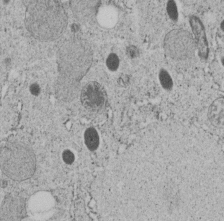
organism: C. elegans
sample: C. elegans embryo early stage